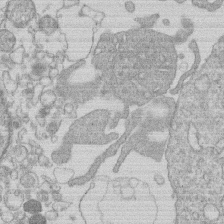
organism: Human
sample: Macrophage cells